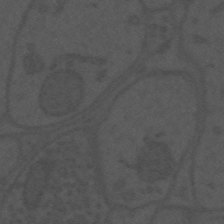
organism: Mouse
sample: Suprachiasmatic nucleus